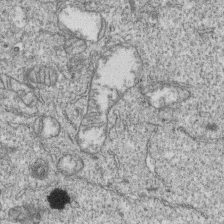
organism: Human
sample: HeLa cell HIV synapse